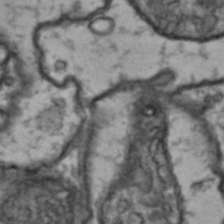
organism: Drosophila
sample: Brain